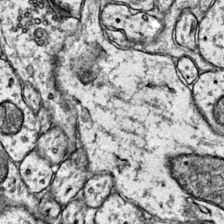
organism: Mouse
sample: Primary visual cortex